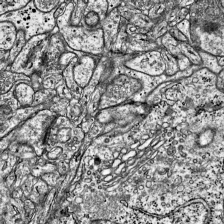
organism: Mouse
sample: Visual Cortex